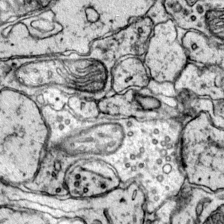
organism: Mouse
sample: Primary visual cortex